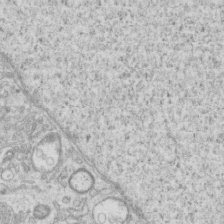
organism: Mouse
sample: Centriole in ependymal cells